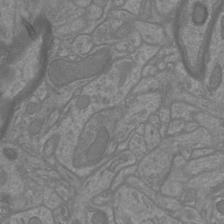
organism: Mouse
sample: Cortical neurons